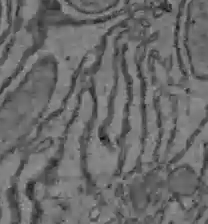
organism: C57BL Mouse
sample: Liver